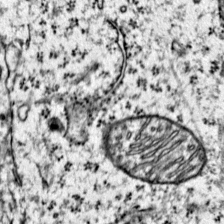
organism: Mouse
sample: Primary visual cortex